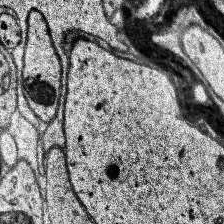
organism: Human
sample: Temporal Lobe